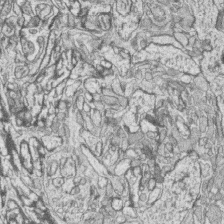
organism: Zebrafish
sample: synaptic ribbons in rod cells and cone cells